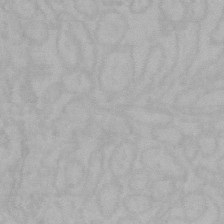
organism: Mouse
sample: Choroid plexus